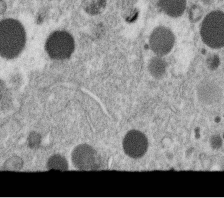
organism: C. elegans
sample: C. elegans oocyte; sperm cells